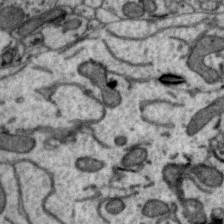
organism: Zebra finch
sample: Brain